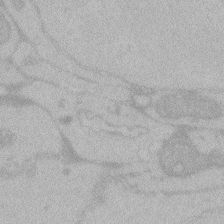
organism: Zebrafish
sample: Macrophage infected with Toxoplasma gondii